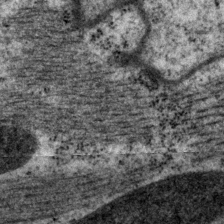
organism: P. pacificus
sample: Pharynx